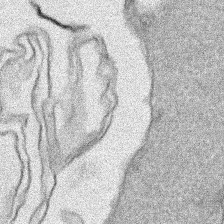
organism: Human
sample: Mitochondria in HCT116 cells